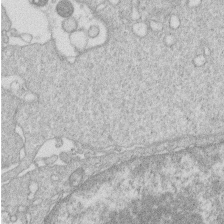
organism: Human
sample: Macrophage cells